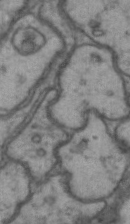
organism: Drosophila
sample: Brain